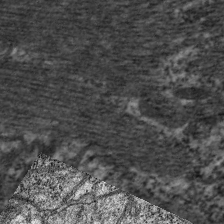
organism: C. elegans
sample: Pharynx